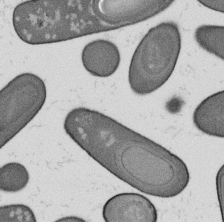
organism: B. subtilis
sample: Bacterial spore